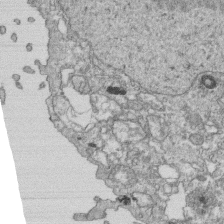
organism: Human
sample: HeLa cell HIV synapse